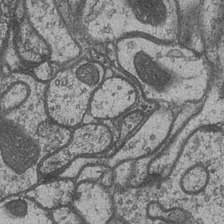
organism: Drosophila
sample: Optic medulla